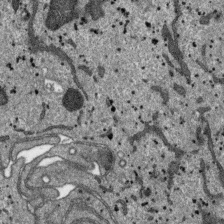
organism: Human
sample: Lung epithelial cells, uninfected (mock) control